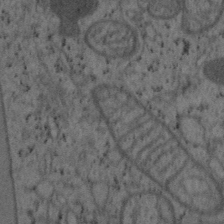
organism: Human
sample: HeLa cells